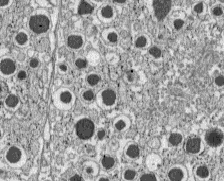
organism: C57BL Mouse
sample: Pancreatic islet